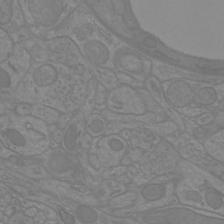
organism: Mouse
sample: Cortical neurons